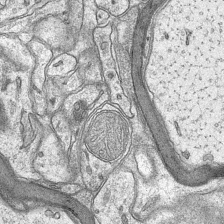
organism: Mouse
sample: CA1 Hippocampus